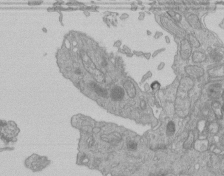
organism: Human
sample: Retinal organoid Rod and Cone cells